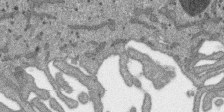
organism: Human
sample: Lung epithelial cells infected with SARS-CoV-2